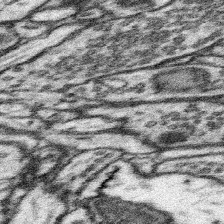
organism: Mouse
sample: Somatosensory cortex neuropil